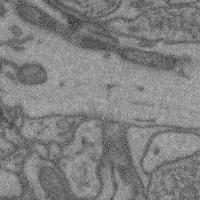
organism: Mouse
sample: Cerebral cortex